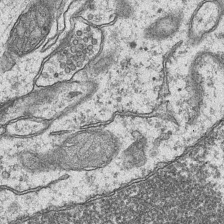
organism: Mouse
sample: CA1 Hippocampus